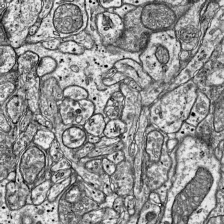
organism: Mouse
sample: Visual Cortex